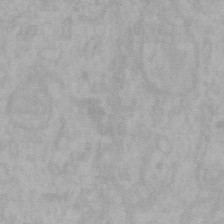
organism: Mouse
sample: Choroid plexus